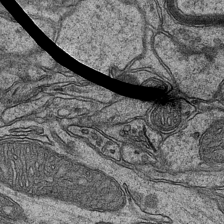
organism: Mouse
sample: CA1 Hippocampus